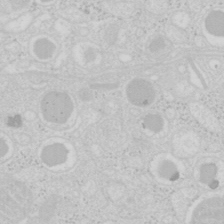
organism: Mouse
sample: Pancreas